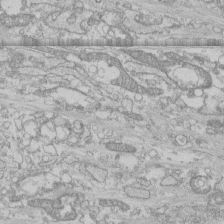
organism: Human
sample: CRL-1474